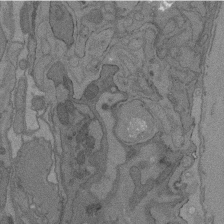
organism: C. elegans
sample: AFD neurons C. elegans